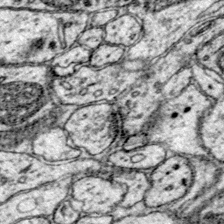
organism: Mouse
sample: Primary visual cortex